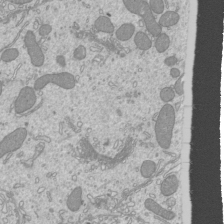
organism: Mouse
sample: Cilia; mouse epididymis